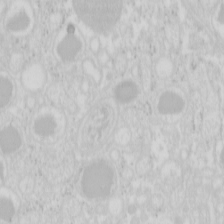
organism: Mouse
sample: Pancreas